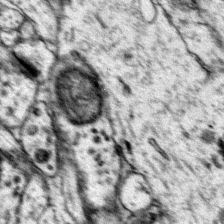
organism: Mouse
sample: Primary visual cortex